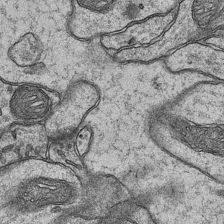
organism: Mouse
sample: CA1 Hippocampus